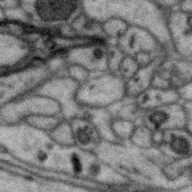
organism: Zebra finch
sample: Brain